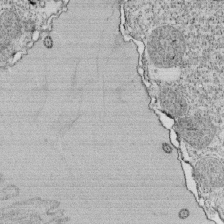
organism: Tetrahymena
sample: Cilia in tetrahymena